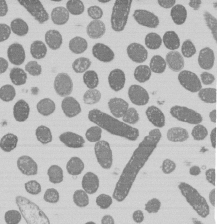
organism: E. coli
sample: Bacterial nucleoid